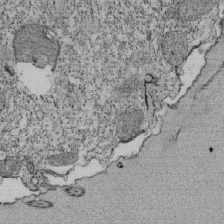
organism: Tetrahymena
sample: Cilia in tetrahymena